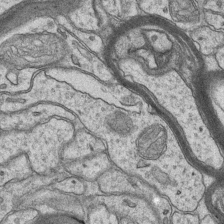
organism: Mouse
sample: CA1 Hippocampus